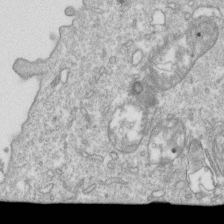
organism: Mouse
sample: Activated OT-1 CD8+ T cells